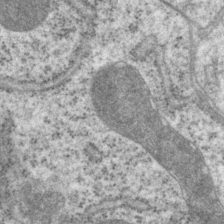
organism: P. pacificus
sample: Pharynx